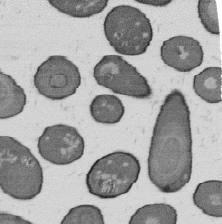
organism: B. subtilis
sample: Bacterial spore